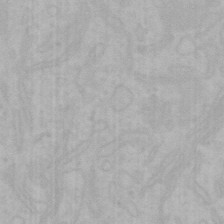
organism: Mouse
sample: Choroid plexus